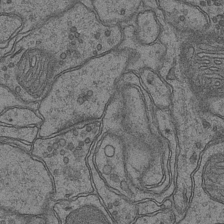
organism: Mouse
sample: CA1 Hippocampus